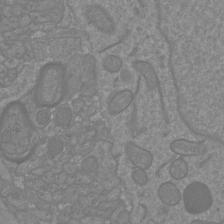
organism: Mouse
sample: Cortical neurons